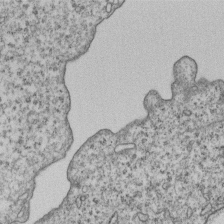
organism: Human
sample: MDA-MB-231 cells